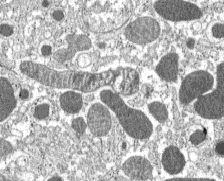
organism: C57BL Mouse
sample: Pancreatic islet